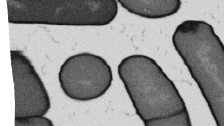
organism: B. subtilis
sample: Bacterial spore